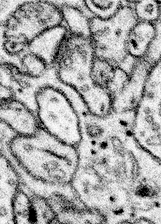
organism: Mouse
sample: Somatosensory cortex neuropil